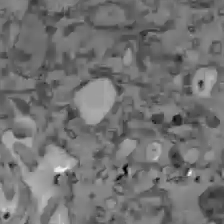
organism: C57BL Mouse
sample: Liver